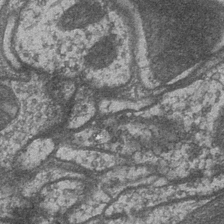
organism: Drosophila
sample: Optic medulla